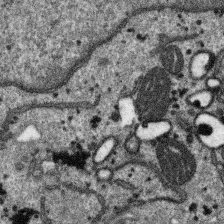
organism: Human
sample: Lung epithelial cells infected with SARS-CoV-2